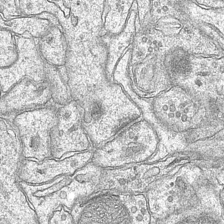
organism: Mouse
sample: CA1 Hippocampus